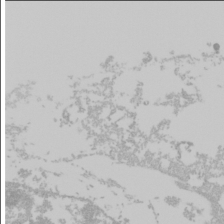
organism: Mouse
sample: Cancer cell death in ED-1 cells